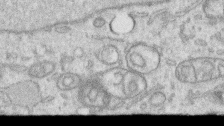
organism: Human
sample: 1205lu cells